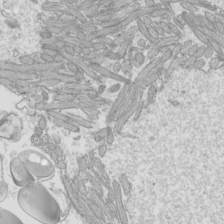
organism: Mouse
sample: Cilia; mouse epididymis